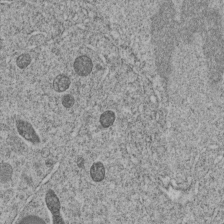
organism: C. elegans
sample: C. elegans embryo early stage